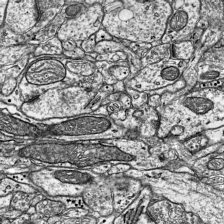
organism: Mouse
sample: Visual Cortex